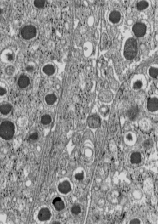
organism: C57BL Mouse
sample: Pancreatic islet